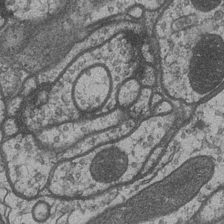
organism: Drosophila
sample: Optic medulla